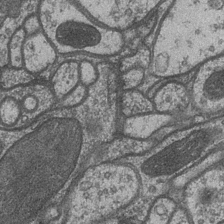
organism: Drosophila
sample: Optic medulla